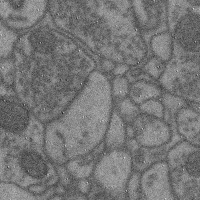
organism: Mouse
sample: Cerebral cortex